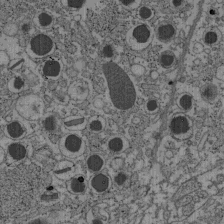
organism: C57BL Mouse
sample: Pancreatic islet